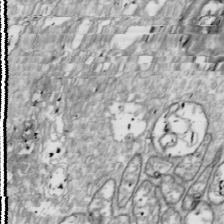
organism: Drosophila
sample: Cell division; meiosis; drosophila spermatocytes